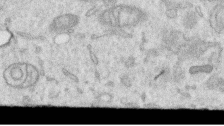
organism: Human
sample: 1205lu cells